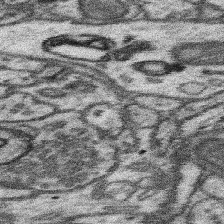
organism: Mouse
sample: Somatosensory cortex neuropil